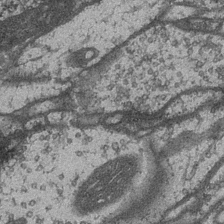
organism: Drosophila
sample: Optic medulla